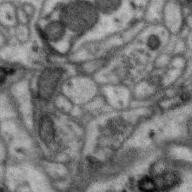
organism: Zebra finch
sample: Brain